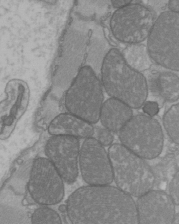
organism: C57BL Mouse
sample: Heart